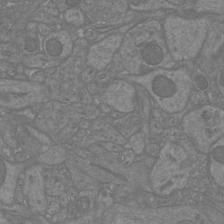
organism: Mouse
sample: Cortical neurons